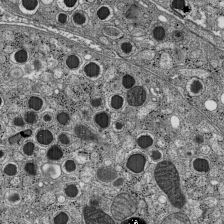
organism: C57BL Mouse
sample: Pancreatic islet